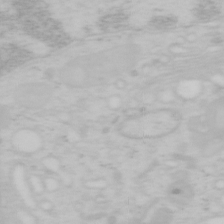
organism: Mouse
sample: OT-I killer T cells with ID8 ovarian cancer cells